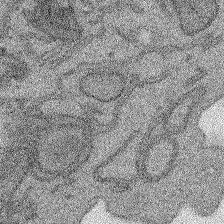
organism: Human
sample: HeLa cells